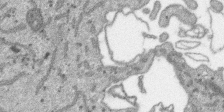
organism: Human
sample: Lung epithelial cells infected with SARS-CoV-2